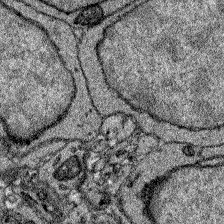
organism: Zebrafish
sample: Larval olfactory bulb